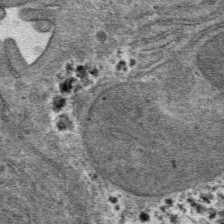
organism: Mouse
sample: Mouse hepatocytes